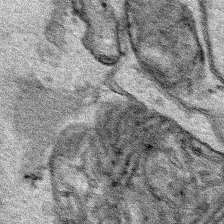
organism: Human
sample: Mitochondria in HCT116 cells